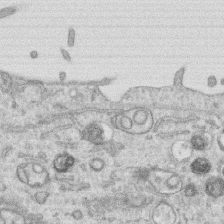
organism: Human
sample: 1205lu cells